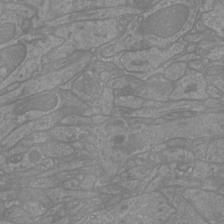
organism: Mouse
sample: Cortical neurons